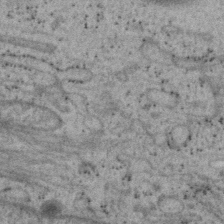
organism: Human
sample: HeLa cells